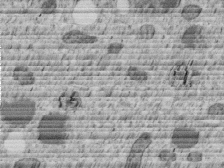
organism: C. elegans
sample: C. elegans embryo early stage